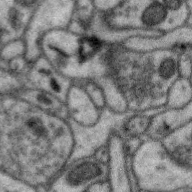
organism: Zebra finch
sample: Brain